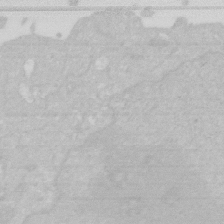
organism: Human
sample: HIV infected U937 cells